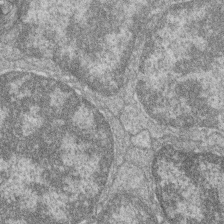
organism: Zebrafish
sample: Cilia; retinal pigment epithelium